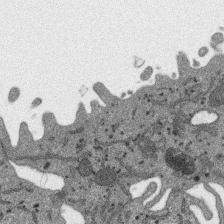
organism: Human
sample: Lung epithelial cells infected with SARS-CoV-2